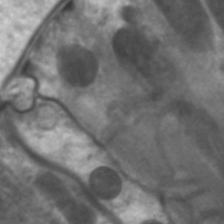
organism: C. elegans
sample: Pharynx